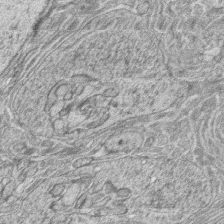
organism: Zebrafish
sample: synaptic ribbons in rod cells and cone cells